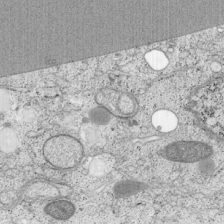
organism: African green monkey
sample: COS-7 cells